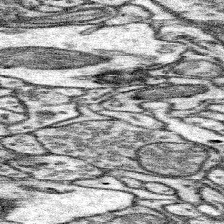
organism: Mouse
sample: Somatosensory cortex neuropil